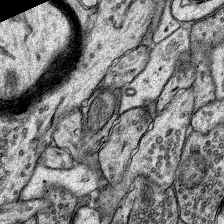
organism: Rat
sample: Hippocampus